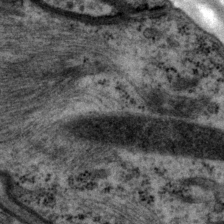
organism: P. pacificus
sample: Pharynx